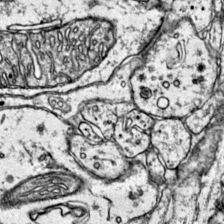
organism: Mouse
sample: Primary visual cortex